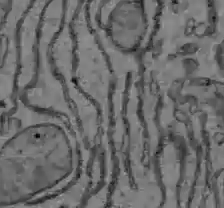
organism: C57BL Mouse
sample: Liver